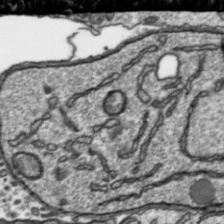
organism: Toxoplasma gondii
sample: Parasites in a vacuole inside a host cell